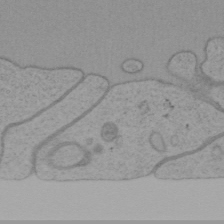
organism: Human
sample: HeLa cells